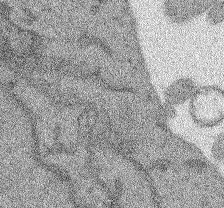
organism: Human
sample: HeLa cells